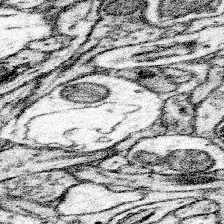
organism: Mouse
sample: Somatosensory cortex neuropil